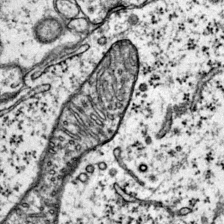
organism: Mouse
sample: Primary visual cortex